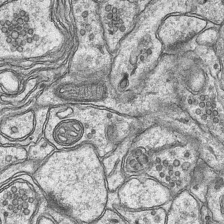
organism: Mouse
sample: CA1 Hippocampus